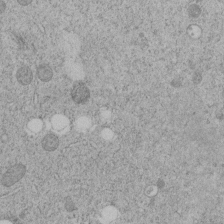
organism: C. elegans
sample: C. elegans embryo early stage